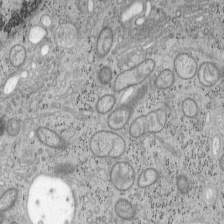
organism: Mouse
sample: OT-I killer T cells with ID8 ovarian cancer cells